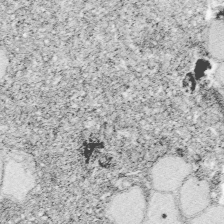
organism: Zebrafish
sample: Whole-Brain